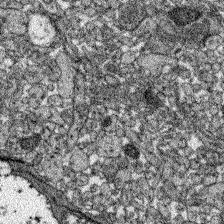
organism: Zebrafish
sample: Larval olfactory bulb